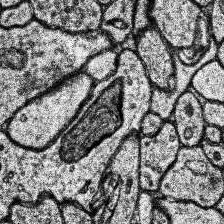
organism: Human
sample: Temporal Lobe